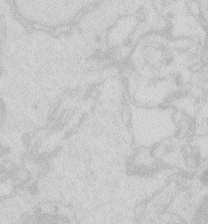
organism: Zebrafish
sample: Macrophage